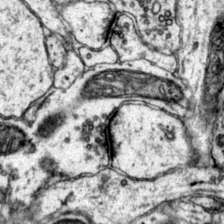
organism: Mouse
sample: Primary visual cortex